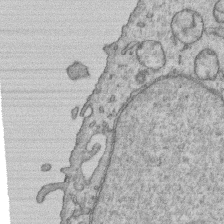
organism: Human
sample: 1205lu cells